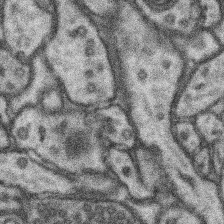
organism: Mouse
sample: Somatosensory cortex neuropil